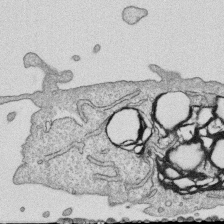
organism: Human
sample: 1205lu cells